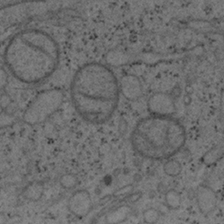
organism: Human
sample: HeLa cells